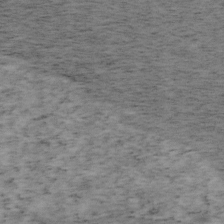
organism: Mouse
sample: OT-I killer T cells with ID8 ovarian cancer cells